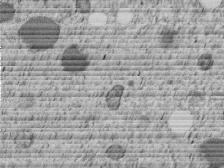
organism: C. elegans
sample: C. elegans embryo early stage